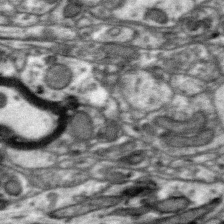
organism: Zebra finch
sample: Brain